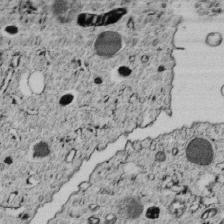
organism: C. elegans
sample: C. elegans embryo early stage